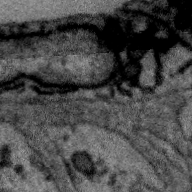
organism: Zebra finch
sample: Brain